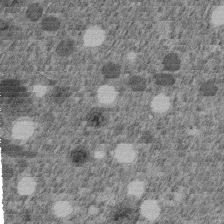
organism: C. elegans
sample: C. elegans embryo early stage